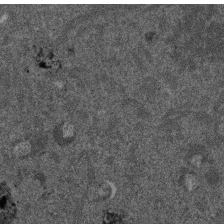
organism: Mouse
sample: Dividing mouse embryo 1 cell stage